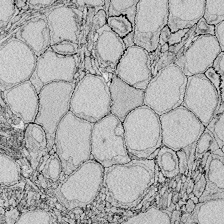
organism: Zebrafish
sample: Whole-Brain